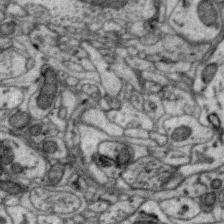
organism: Zebra finch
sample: Brain